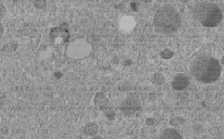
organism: C. elegans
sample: C. elegans embryo early stage